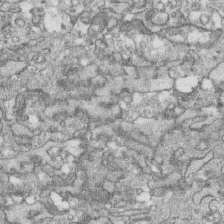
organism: Human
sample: CRL-1474